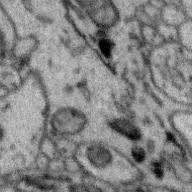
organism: Zebra finch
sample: Brain